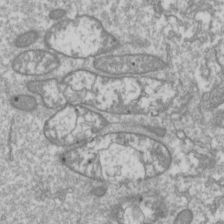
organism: Drosophila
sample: Cell division; meiosis; drosophila spermatocytes